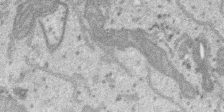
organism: Human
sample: Lung epithelial cells infected with SARS-CoV-2